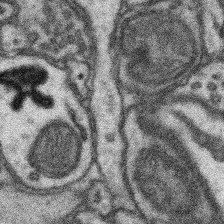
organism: Mouse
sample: Somatosensory cortex neuropil